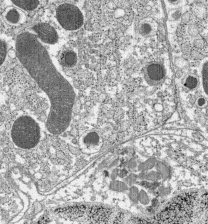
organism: C57BL Mouse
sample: Pancreatic islet